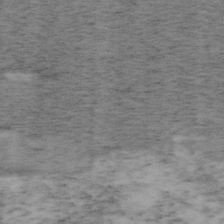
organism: Mouse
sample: OT-I killer T cells with ID8 ovarian cancer cells